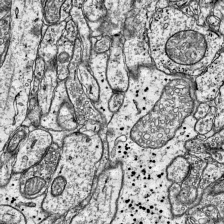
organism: Mouse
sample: Visual Cortex